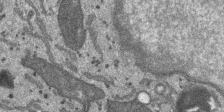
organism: Human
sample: Lung epithelial cells infected with SARS-CoV-2